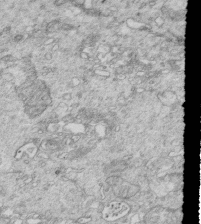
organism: Mouse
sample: Multiciliated cells